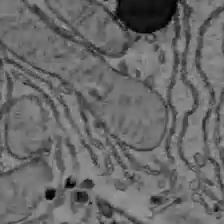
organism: C57BL Mouse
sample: Liver